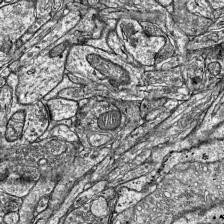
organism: Mouse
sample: Visual Cortex